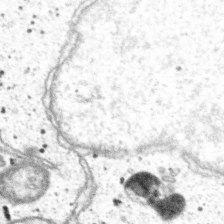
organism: Human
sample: HeLa cells